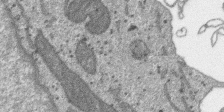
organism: Human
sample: Lung epithelial cells infected with SARS-CoV-2